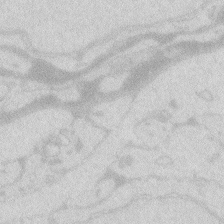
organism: Zebrafish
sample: Macrophage